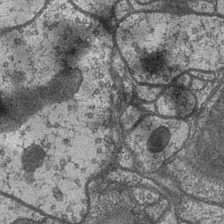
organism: Drosophila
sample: Optic medulla